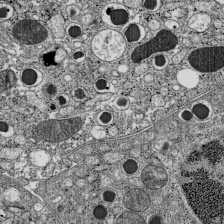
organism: C57BL Mouse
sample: Pancreatic islet